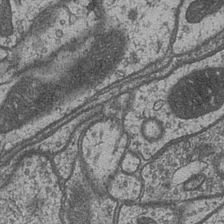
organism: Drosophila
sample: Optic medulla